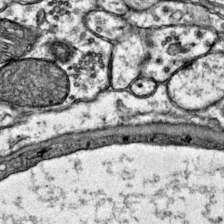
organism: Mouse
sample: Primary visual cortex